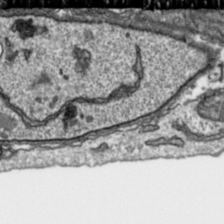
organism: Toxoplasma gondii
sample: Parasites in a vacuole inside a host cell